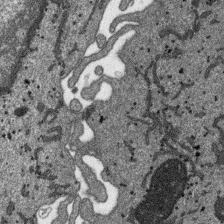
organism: Human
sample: Lung epithelial cells infected with SARS-CoV-2